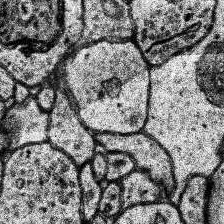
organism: Human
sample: Temporal Lobe